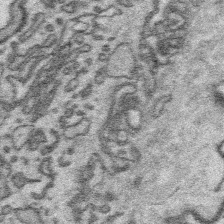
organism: Platynereis dumerilii